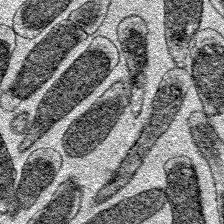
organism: E. coli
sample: E. Coli Bacteria